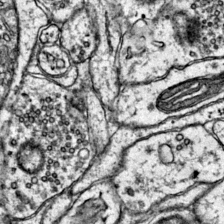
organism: Mouse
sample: Primary visual cortex